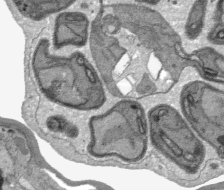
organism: Plasmodium falciparum